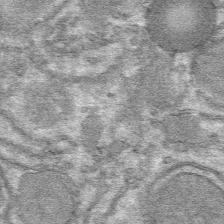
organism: Mouse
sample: Mouse hepatocytes